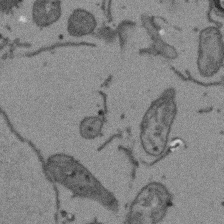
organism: Arabidopsis thaliana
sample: Root tip